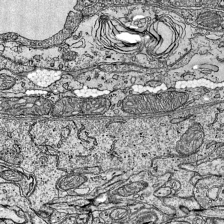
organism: Mouse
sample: Visual Cortex